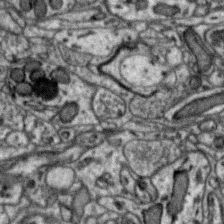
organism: Zebra finch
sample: Brain